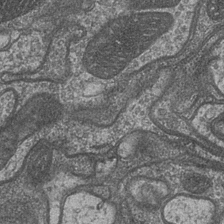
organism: Drosophila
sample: Optic medulla